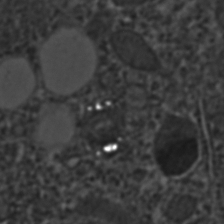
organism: C. elegans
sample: C. elegans embryo